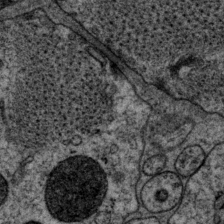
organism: P. pacificus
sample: Pharynx